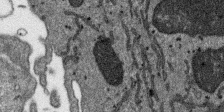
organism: Human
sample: Lung epithelial cells infected with SARS-CoV-2